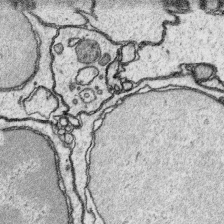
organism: Platynereis dumerilii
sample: Parapodia